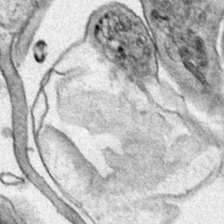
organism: Human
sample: Mitochondria in HCT116 cells